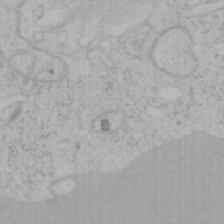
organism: Mouse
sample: OT-I killer T cells with ID8 ovarian cancer cells